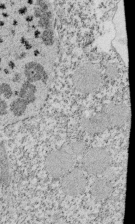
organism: Tetrahymena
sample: Cilia in tetrahymena